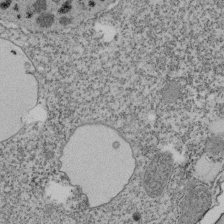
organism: Tetrahymena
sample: Cilia in tetrahymena